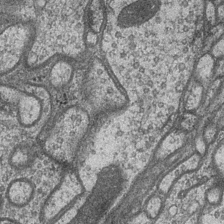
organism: Drosophila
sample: Optic medulla